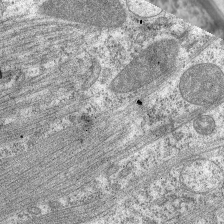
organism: C. elegans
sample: Pharynx